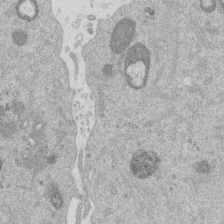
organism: Mouse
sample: Dividing mouse embryo 1 cell stage